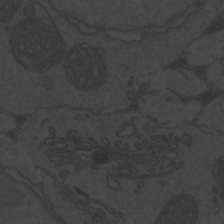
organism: Zebrafish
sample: Macrophage infected with Toxoplasma gondii